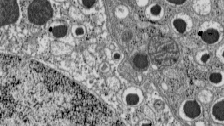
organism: C57BL Mouse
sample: Pancreatic islet